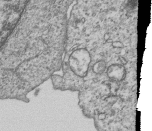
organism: Human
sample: MDA-MB-231 cells